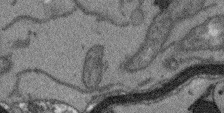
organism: Arabidopsis thaliana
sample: Root tip